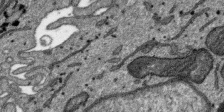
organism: Human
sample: Lung epithelial cells, uninfected (mock) control